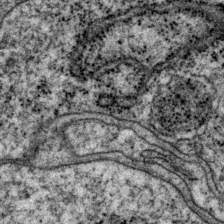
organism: P. pacificus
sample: Pharynx